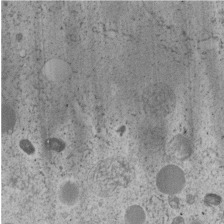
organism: C. elegans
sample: C. elegans embryo early stage